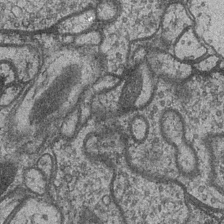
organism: Drosophila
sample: Optic medulla